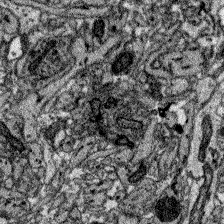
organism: Zebrafish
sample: Larval olfactory bulb